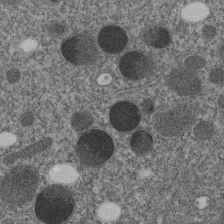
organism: C. elegans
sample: C. elegans embryo early stage